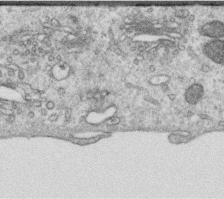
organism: Human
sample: Centriole in RPE cells